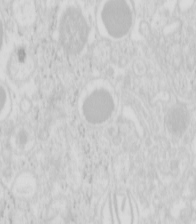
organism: Mouse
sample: Pancreas